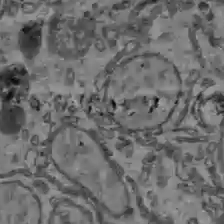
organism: C57BL Mouse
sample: Liver